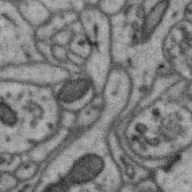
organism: Zebra finch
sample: Brain